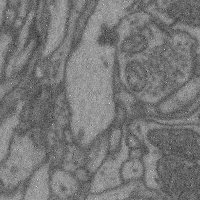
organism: Mouse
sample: Cerebral cortex